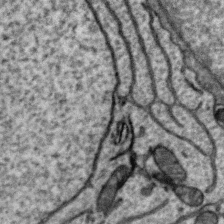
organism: Zebra finch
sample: Brain